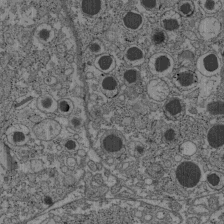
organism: C57BL Mouse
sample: Pancreatic islet